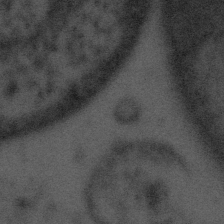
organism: Tuwongella immobilis